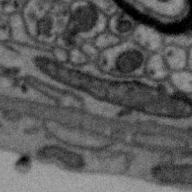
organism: Zebra finch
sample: Brain